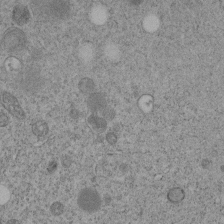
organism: C. elegans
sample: C. elegans embryo early stage